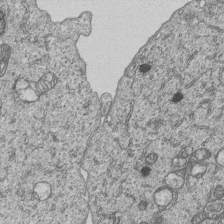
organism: Human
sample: MDA-MB-231 cells